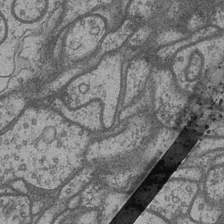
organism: Drosophila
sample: Optic medulla